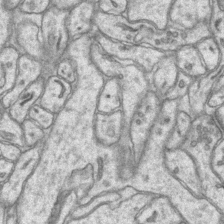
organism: Mouse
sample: CA1 Hippocampus